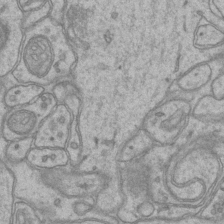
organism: Mouse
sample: CA1 Hippocampus